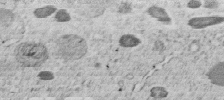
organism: C. elegans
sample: C. elegans embryo early stage